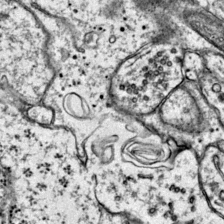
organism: Mouse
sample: Primary visual cortex